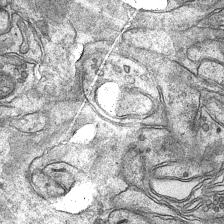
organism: Mouse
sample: CA1 Hippocampus